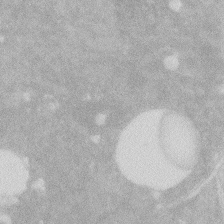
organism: Zebrafish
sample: Macrophage